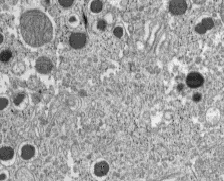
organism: C57BL Mouse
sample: Pancreatic islet